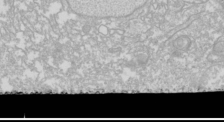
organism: Drosophila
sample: Cell division; meiosis; drosophila spermatocytes